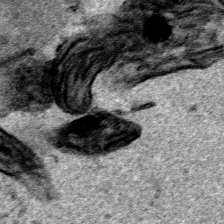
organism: Human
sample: Mitochondria in HCT116 cells